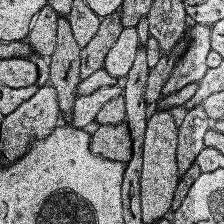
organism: Human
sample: Temporal Lobe